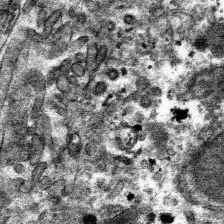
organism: Mouse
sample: Mouse hepatocytes